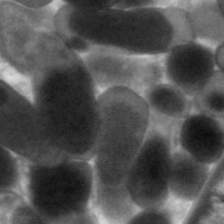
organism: C. elegans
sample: Pharynx